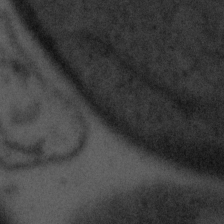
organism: Tuwongella immobilis